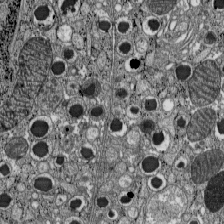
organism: C57BL Mouse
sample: Pancreatic islet